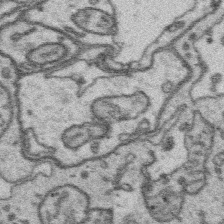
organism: Platynereis dumerilii